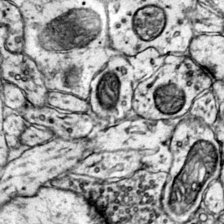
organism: Mouse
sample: Primary visual cortex